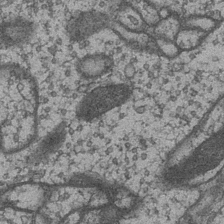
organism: Drosophila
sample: Optic medulla